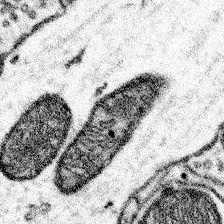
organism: Mouse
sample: Somatosensory cortex neuropil